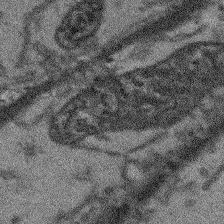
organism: Arabidopsis thaliana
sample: Root tip